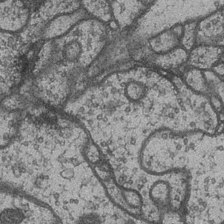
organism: Drosophila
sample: Optic medulla